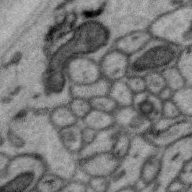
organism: Zebra finch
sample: Brain